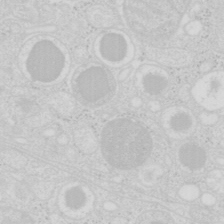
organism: Mouse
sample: Pancreas